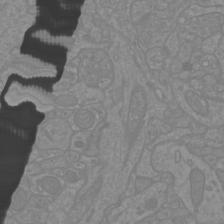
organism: Mouse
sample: Cortical neurons